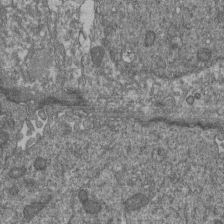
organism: Human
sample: Retinal organoid Rod and Cone cells